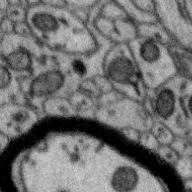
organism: Zebra finch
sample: Brain